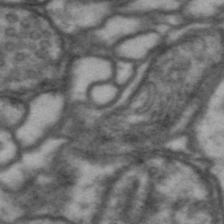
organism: Drosophila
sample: Brain